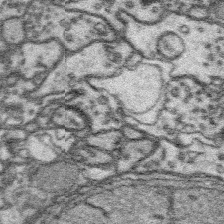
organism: Platynereis dumerilii